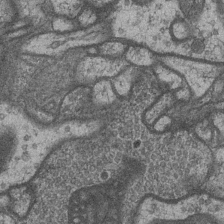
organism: Drosophila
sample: Optic medulla